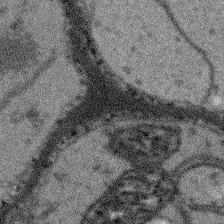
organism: Arabidopsis thaliana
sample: Root tip